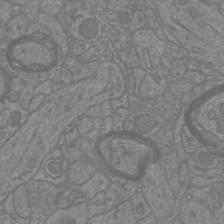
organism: Mouse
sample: Cortical neurons